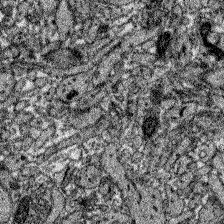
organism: Zebrafish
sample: Larval olfactory bulb